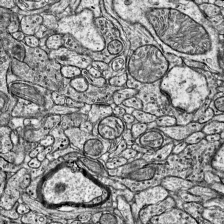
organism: Mouse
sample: Visual Cortex